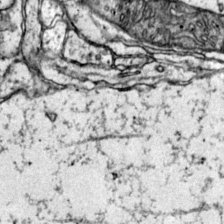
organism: Mouse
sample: Primary visual cortex